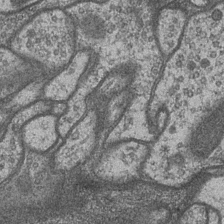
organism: Drosophila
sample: Optic medulla